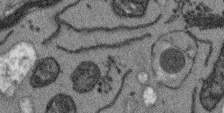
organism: Arabidopsis thaliana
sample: Root tip